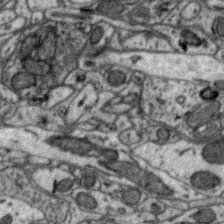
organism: Zebra finch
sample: Brain